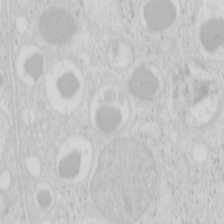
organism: Mouse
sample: Pancreas